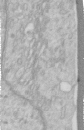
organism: Human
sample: Centriole in RPE cells